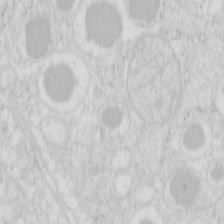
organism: Mouse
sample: Pancreas